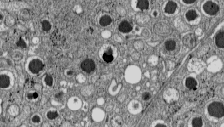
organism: C57BL Mouse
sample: Pancreatic islet